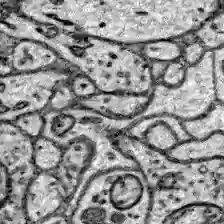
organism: Zebrafish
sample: Brain